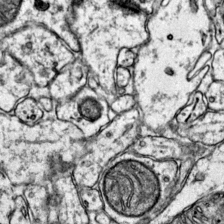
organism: Mouse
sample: Primary visual cortex